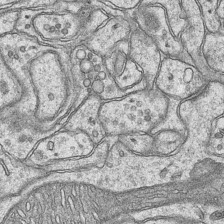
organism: Mouse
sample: CA1 Hippocampus